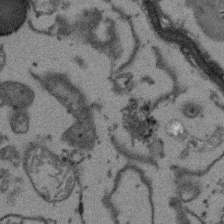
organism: Arabidopsis thaliana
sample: Root tip